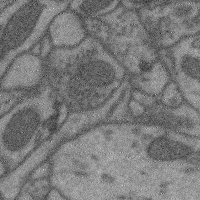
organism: Mouse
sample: Cerebral cortex